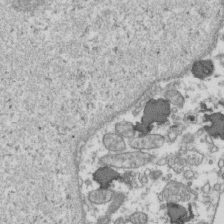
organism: Human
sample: Activated Jurkat CD4+ T cells